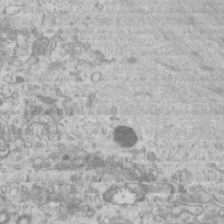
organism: Mouse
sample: Centriole in ependymal cells